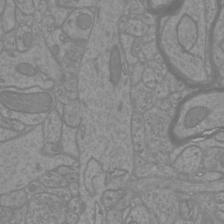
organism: Mouse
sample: Cortical neurons